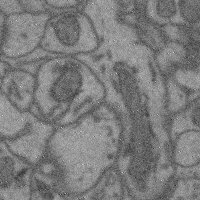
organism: Mouse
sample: Cerebral cortex